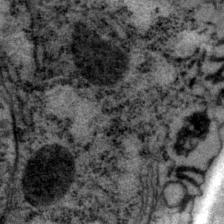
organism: P. pacificus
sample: Pharynx